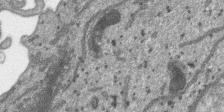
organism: Human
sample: Lung epithelial cells infected with SARS-CoV-2